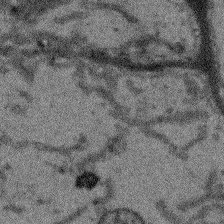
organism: Arabidopsis thaliana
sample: Root tip